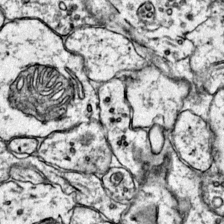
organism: Mouse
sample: Primary visual cortex